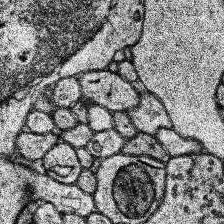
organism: Human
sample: Temporal Lobe